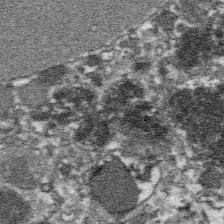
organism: Platynereis dumerilii